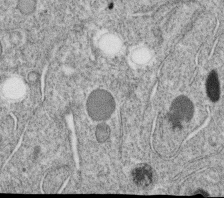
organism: C. elegans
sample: C. elegans oocyte; sperm cells